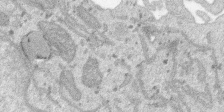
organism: Human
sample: Lung epithelial cells infected with SARS-CoV-2